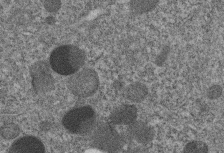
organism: C. elegans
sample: C. elegans embryo early stage